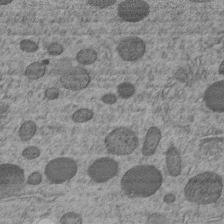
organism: C. elegans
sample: C. elegans embryo early stage